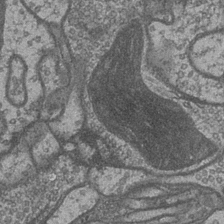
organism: Drosophila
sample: Optic medulla